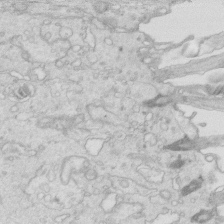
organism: Mouse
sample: Multiciliated cells